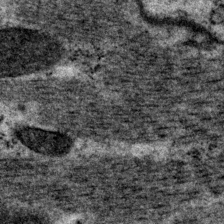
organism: P. pacificus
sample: Pharynx